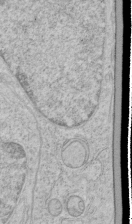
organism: Human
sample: Mitochondria in HCT116 cells